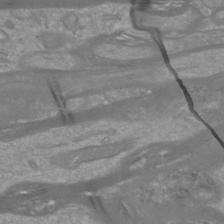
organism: Mouse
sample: Cortical neurons